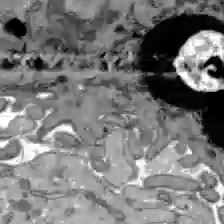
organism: C57BL Mouse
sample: Liver